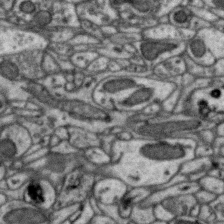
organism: Zebra finch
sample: Brain